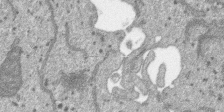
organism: Human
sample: Lung epithelial cells infected with SARS-CoV-2